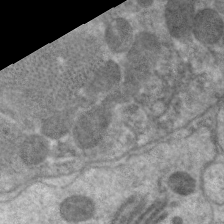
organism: C. elegans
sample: Pharynx